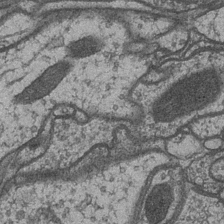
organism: Drosophila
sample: Optic medulla